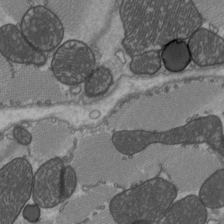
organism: C57BL Mouse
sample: Heart